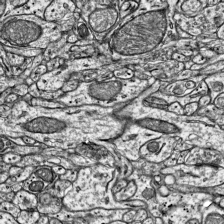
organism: Mouse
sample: Visual Cortex